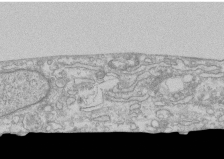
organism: Human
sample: CRL-1474